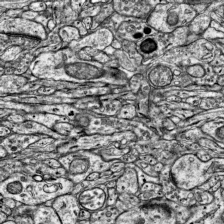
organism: Mouse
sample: Visual Cortex